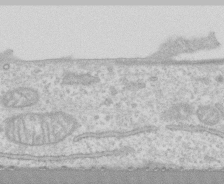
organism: Human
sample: CRL-1474